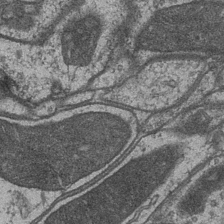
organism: Drosophila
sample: Optic medulla